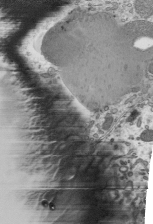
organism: Mouse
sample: Mouse epididymis efferent ductule cilia